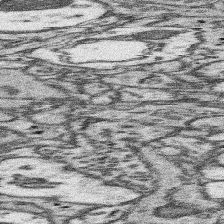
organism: Mouse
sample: Somatosensory cortex neuropil